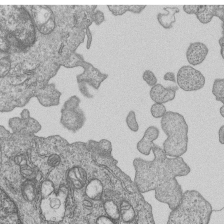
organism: Human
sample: MDA-MB-231 cells